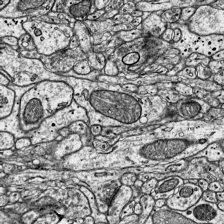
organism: Mouse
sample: Visual Cortex